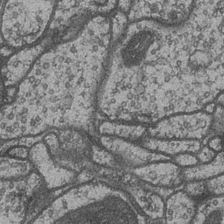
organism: Drosophila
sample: Optic medulla